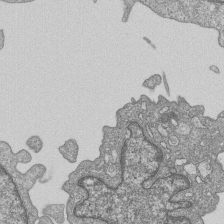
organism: Human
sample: MDA-MB-231 cells